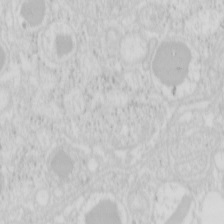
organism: Mouse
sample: Pancreas